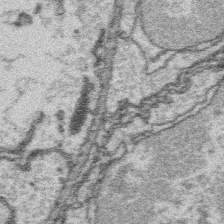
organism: Platynereis dumerilii